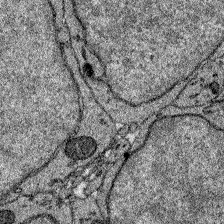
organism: Zebrafish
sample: Larval olfactory bulb